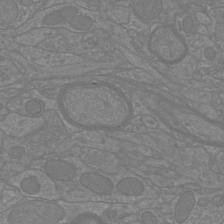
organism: Mouse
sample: Cortical neurons